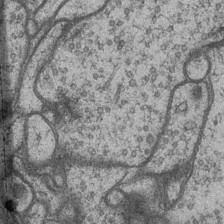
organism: Drosophila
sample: Optic medulla